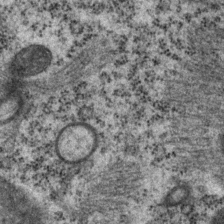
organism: P. pacificus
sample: Pharynx